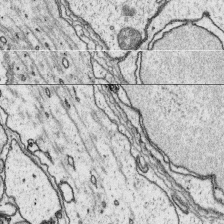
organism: Platynereis dumerilii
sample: Parapodia